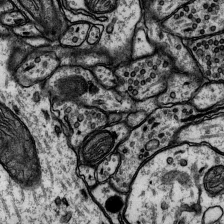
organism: Rat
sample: Hippocampus